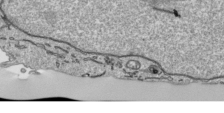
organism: Human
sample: Mitochondria in HCT116 cells